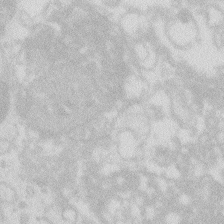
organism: Zebrafish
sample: Macrophage